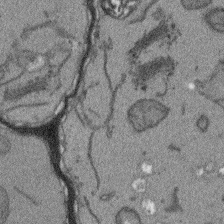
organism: Arabidopsis thaliana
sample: Root tip